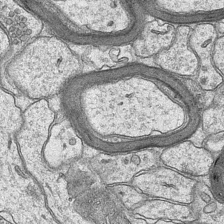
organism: Mouse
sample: CA1 Hippocampus